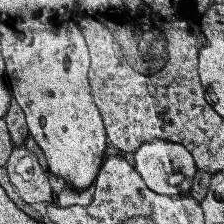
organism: Human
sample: Temporal Lobe